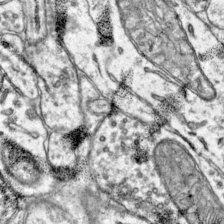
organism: Mouse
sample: Primary visual cortex